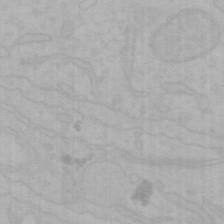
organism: Mouse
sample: Choroid plexus